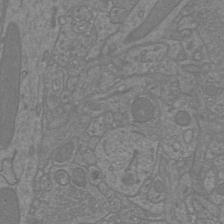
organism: Mouse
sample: Cortical neurons